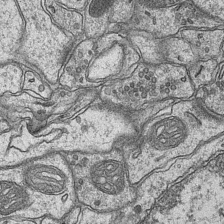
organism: Mouse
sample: CA1 Hippocampus